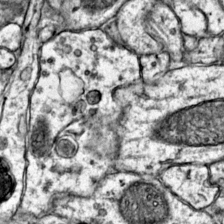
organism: Mouse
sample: Primary visual cortex